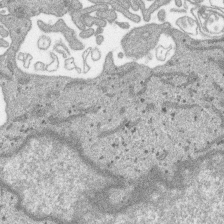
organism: Human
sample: Lung epithelial cells infected with SARS-CoV-2